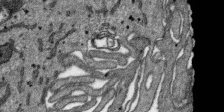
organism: Human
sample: Lung epithelial cells, uninfected (mock) control